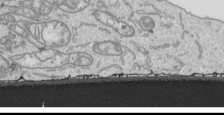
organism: Human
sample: Mitochondria in HCT116 cells